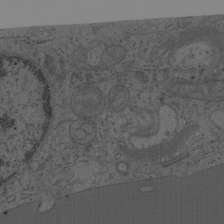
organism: Human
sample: HeLa cells